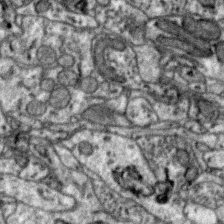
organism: Zebra finch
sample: Brain